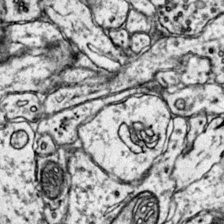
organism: Mouse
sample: Primary visual cortex